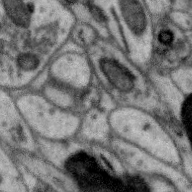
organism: Zebra finch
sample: Brain